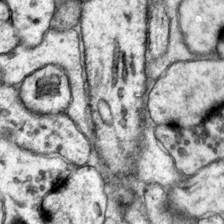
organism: Mouse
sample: Primary visual cortex